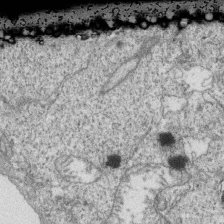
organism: Human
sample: HeLa cell HIV synapse